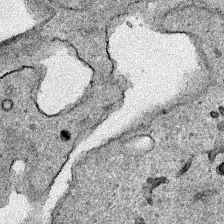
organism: Human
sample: Mitochondria in HCT116 cells